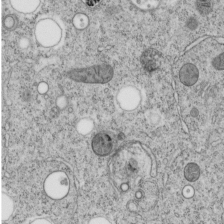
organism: C. elegans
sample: C. elegans embryo early stage